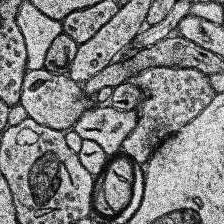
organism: Human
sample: Temporal Lobe